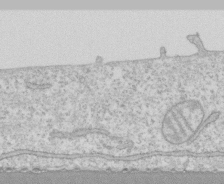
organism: Human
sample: CRL-1474